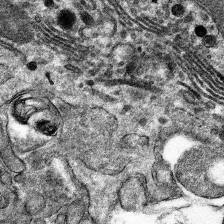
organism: Mouse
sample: Mouse hepatocytes